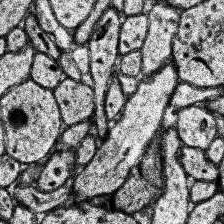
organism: Human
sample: Temporal Lobe